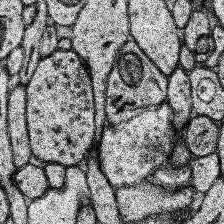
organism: Human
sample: Temporal Lobe